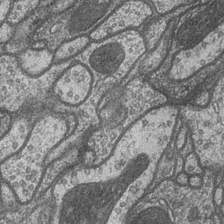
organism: Drosophila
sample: Optic medulla